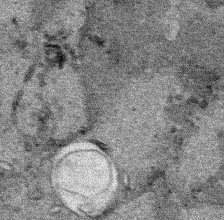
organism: Human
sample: Mitochondria in HCT116 cells